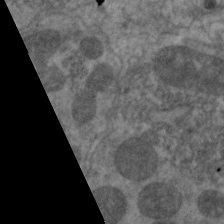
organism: C. elegans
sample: Pharynx